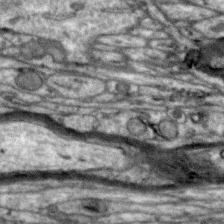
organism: Zebra finch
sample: Brain